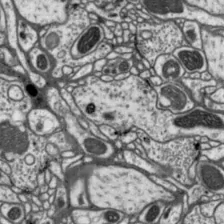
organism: Drosophila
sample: Protocerebral bridge